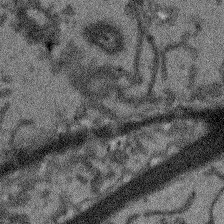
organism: Arabidopsis thaliana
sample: Root tip